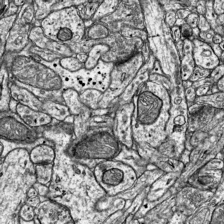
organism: Mouse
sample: Visual Cortex